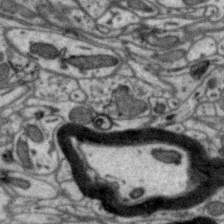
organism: Zebra finch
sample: Brain